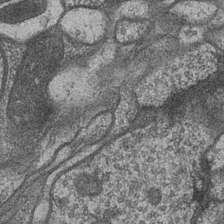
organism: Drosophila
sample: Optic medulla